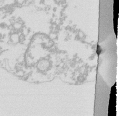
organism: Mouse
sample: Activated Pmel transgenic CD8+ T Cells